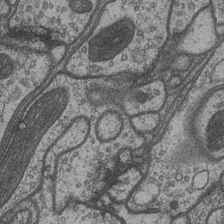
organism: Drosophila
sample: Optic medulla